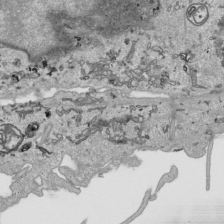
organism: Human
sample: Mitochondria in HCT116 cells